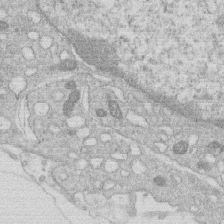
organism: Human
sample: Macrophage cells